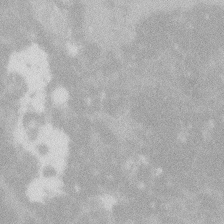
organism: Zebrafish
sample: Macrophage